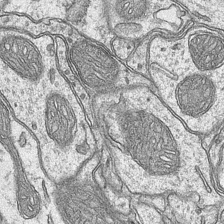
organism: Mouse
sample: CA1 Hippocampus